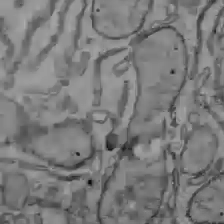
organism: C57BL Mouse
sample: Liver